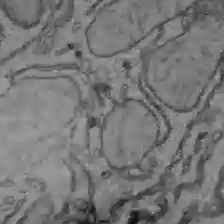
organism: C57BL Mouse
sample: Liver